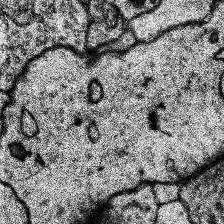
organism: Human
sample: Temporal Lobe